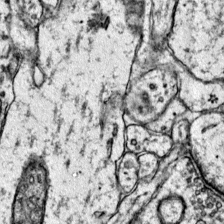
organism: Mouse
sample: Primary visual cortex